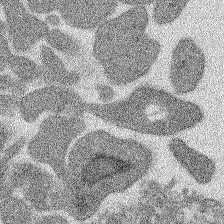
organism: Human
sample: HeLa cells